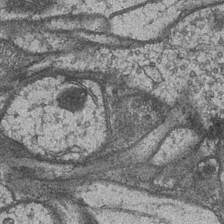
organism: Drosophila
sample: Optic medulla